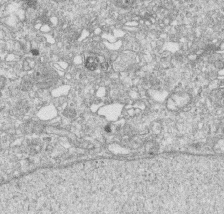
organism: Human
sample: HeLa cell HIV synapse